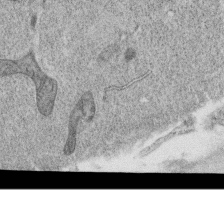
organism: C. elegans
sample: C. elegans oocyte; sperm cells